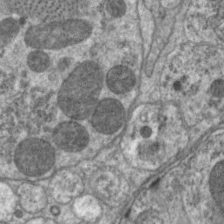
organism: C. elegans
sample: Pharynx